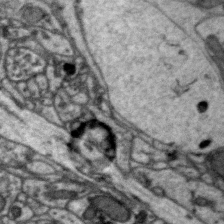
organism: Zebra finch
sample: Brain